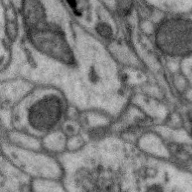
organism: Zebra finch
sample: Brain